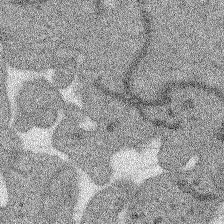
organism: Human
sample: HeLa cells